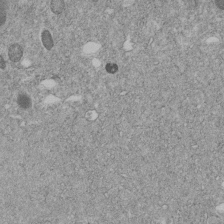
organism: C. elegans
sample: C. elegans embryo early stage